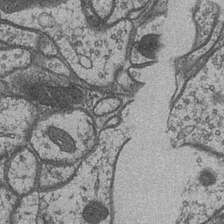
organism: Drosophila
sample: Optic medulla